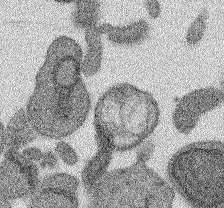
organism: Human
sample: HeLa cells